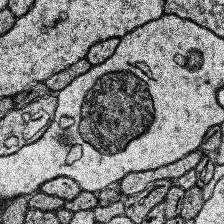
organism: Human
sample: Temporal Lobe